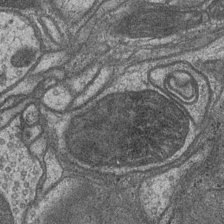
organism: Drosophila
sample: Optic medulla